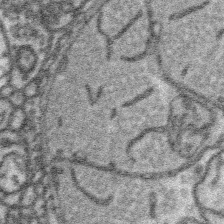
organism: Platynereis dumerilii